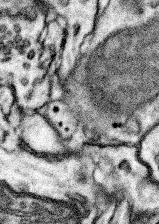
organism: Mouse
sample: Somatosensory cortex neuropil